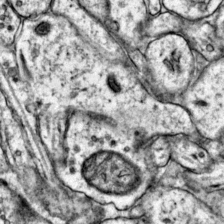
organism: Mouse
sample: Primary visual cortex